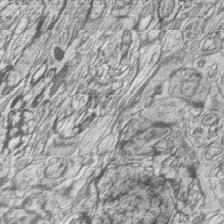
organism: Zebrafish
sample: synaptic ribbons in rod cells and cone cells